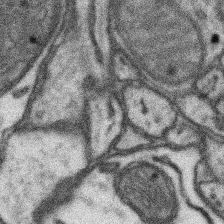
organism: Mouse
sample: Somatosensory cortex neuropil